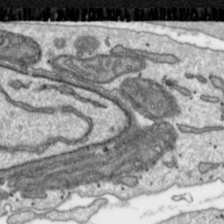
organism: Toxoplasma gondii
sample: Parasites in a vacuole inside a host cell